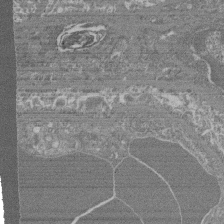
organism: Mouse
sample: Glomerulus